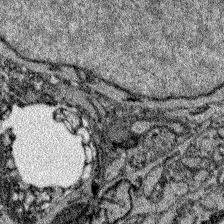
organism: Zebrafish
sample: Larval olfactory bulb